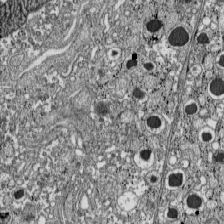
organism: C57BL Mouse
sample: Pancreatic islet